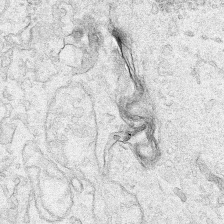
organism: Human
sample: Mitochondria in HCT116 cells